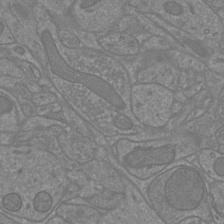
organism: Mouse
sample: Cortical neurons